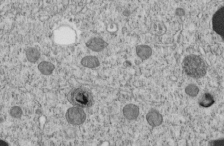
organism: C. elegans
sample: C. elegans embryo early stage